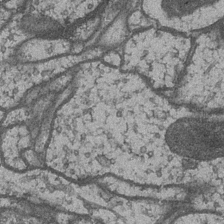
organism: Drosophila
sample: Optic medulla